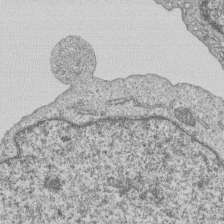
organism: Human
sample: MDA-MB-231 cells